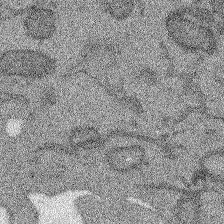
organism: Human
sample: HeLa cells